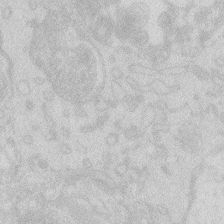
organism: Zebrafish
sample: Macrophage